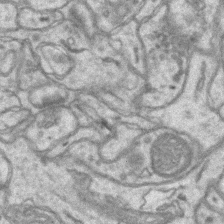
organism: Mouse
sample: CA1 Hippocampus